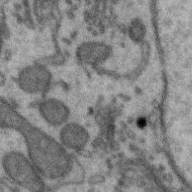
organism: Zebra finch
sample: Brain